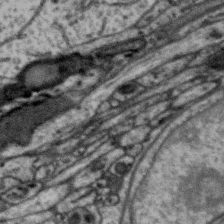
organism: Zebra finch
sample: Brain